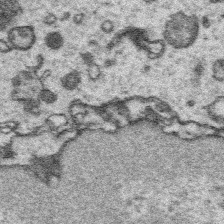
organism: Platynereis dumerilii